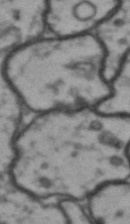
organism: Drosophila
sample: Brain